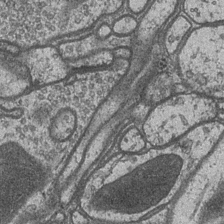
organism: Drosophila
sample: Optic medulla